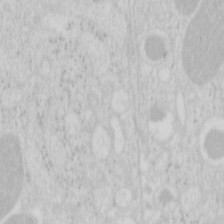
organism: Mouse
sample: Pancreas